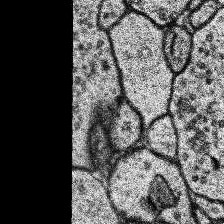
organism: Human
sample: Temporal Lobe